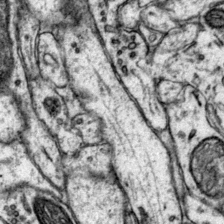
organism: Mouse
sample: Primary visual cortex